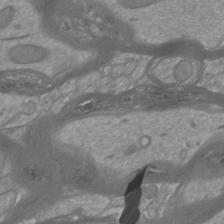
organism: Mouse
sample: Cortical neurons